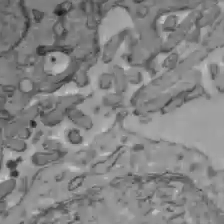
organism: C57BL Mouse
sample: Liver